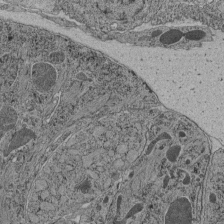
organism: C. elegans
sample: C. elegans pharynx